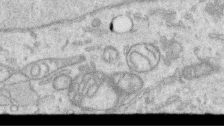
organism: Human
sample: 1205lu cells